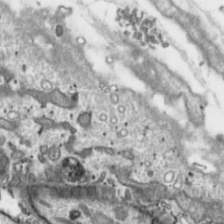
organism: Toxoplasma gondii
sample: Parasites in a vacuole inside a host cell